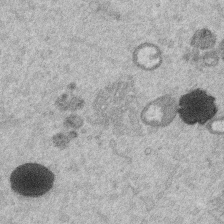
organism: Mouse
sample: Dividing mouse embryo 1 cell stage